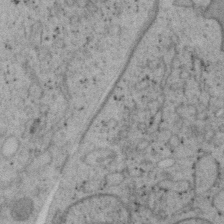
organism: Human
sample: HeLa cells